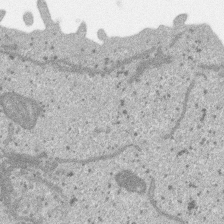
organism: Human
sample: Lung epithelial cells infected with SARS-CoV-2